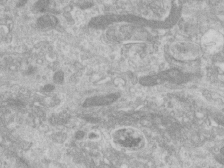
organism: Human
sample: Centriole in RPE cells